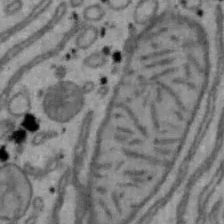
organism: Mouse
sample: Liver